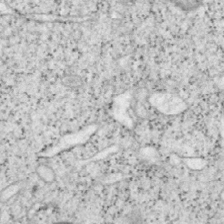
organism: Mouse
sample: OT-I killer T cells with ID8 ovarian cancer cells